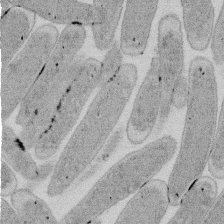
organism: E. coli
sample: Bacterial nucleoid